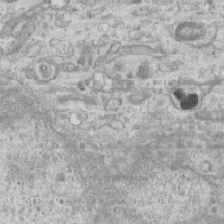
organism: Mouse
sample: Centriole in ependymal cells